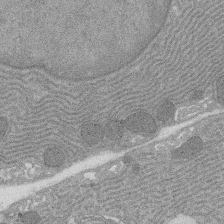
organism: Rat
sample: Salivary granule